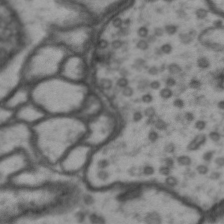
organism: Drosophila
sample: Brain